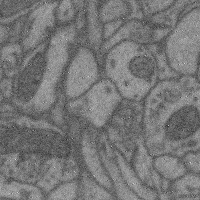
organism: Mouse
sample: Cerebral cortex